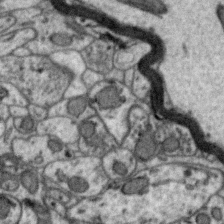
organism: Zebra finch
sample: Brain